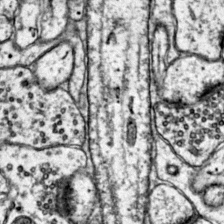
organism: Mouse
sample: Primary visual cortex